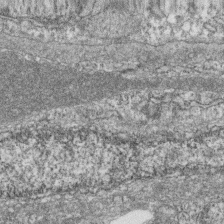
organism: Zebrafish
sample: Cilia; retinal pigment epithelium